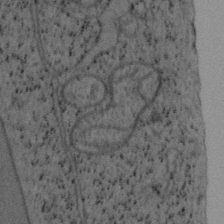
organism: Human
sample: HeLa cells